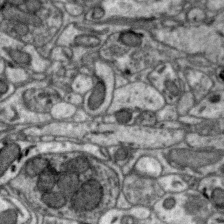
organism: Zebra finch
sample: Brain